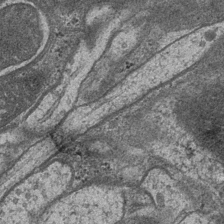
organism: Drosophila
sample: Optic medulla